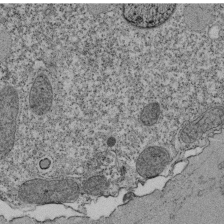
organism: Tetrahymena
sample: Cilia in tetrahymena